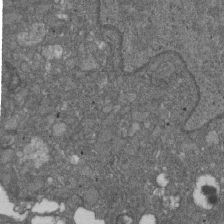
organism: Drosophila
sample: Nephrocyte